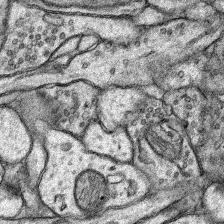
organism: Rat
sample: Hippocampus